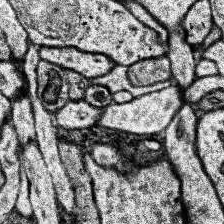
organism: Human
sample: Temporal Lobe